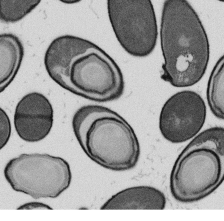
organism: B. subtilis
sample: Bacterial spore